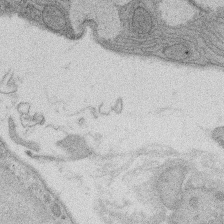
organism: Rat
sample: Salivary granule